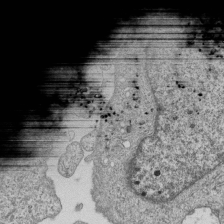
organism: Human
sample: MDA-MB-231 cells